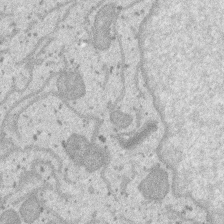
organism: Human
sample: Lung epithelial cells infected with SARS-CoV-2